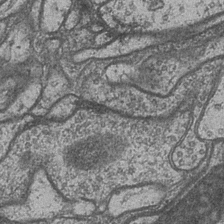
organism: Drosophila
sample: Optic medulla